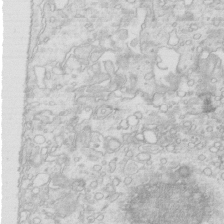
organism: Mouse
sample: Multiciliated cells